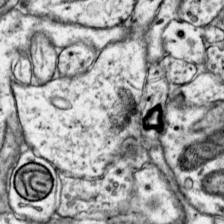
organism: Mouse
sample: Primary visual cortex